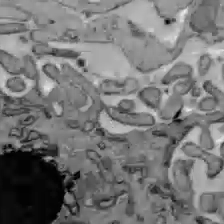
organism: C57BL Mouse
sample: Liver